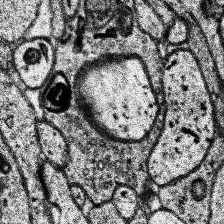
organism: Human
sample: Temporal Lobe